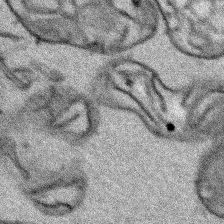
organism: Human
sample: Mitochondria in HCT116 cells